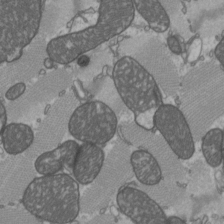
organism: C57BL Mouse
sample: Heart